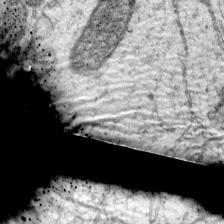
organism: Mouse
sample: Primary visual cortex